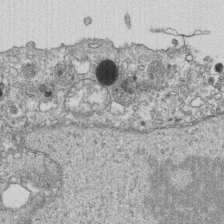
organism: Human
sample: HeLa cell HIV synapse